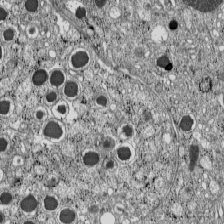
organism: C57BL Mouse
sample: Pancreatic islet